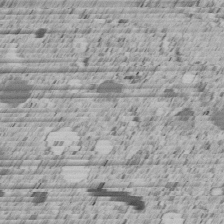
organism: C. elegans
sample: C. elegans embryo early stage